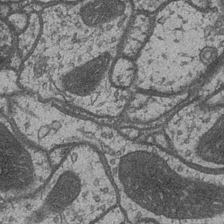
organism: Drosophila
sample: Optic medulla